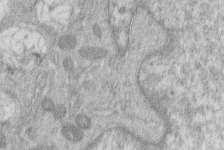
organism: Human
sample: Macrophage cells